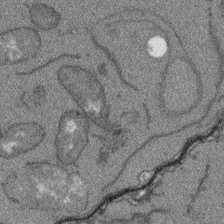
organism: Arabidopsis thaliana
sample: Root tip